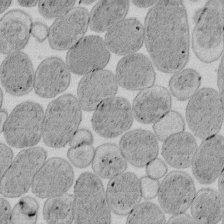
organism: E. coli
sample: Bacterial nucleoid